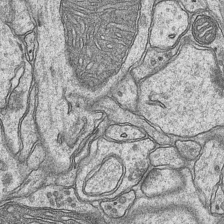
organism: Mouse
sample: CA1 Hippocampus